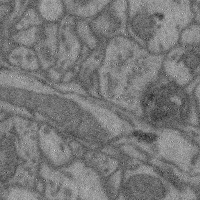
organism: Mouse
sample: Cerebral cortex